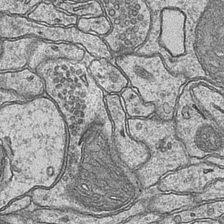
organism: Mouse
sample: CA1 Hippocampus